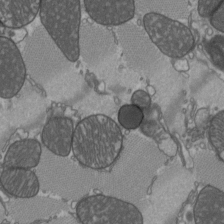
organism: C57BL Mouse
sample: Heart